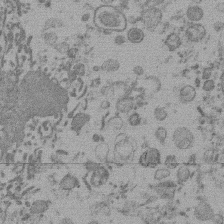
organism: Mouse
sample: Dividing mouse embryo 1 cell stage